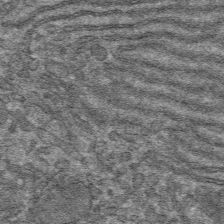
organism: Mouse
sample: Mouse hepatocytes